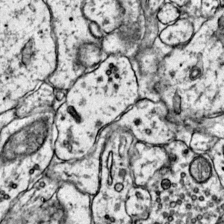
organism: Mouse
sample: Primary visual cortex